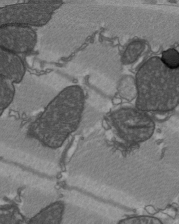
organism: C57BL Mouse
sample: Heart